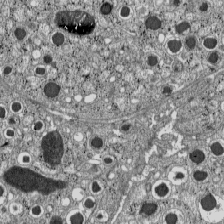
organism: C57BL Mouse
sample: Pancreatic islet